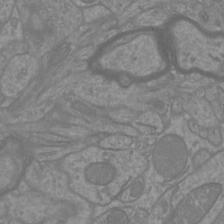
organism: Mouse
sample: Cortical neurons